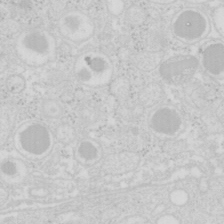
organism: Mouse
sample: Pancreas